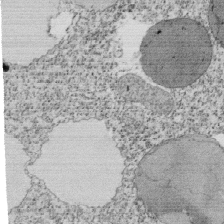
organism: Tetrahymena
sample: Cilia in tetrahymena